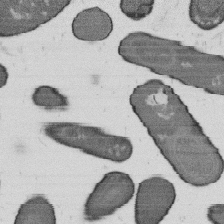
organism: B. subtilis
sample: Bacterial spore